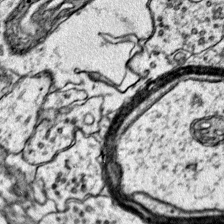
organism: Mouse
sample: Primary visual cortex